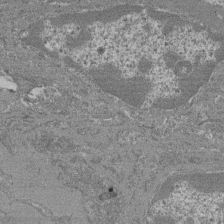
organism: Mouse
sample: Glomerulus